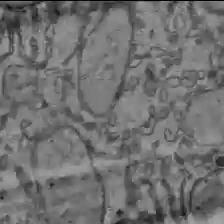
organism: C57BL Mouse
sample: Liver